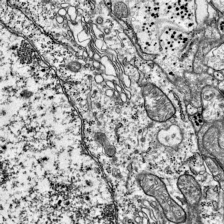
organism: Mouse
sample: Visual Cortex